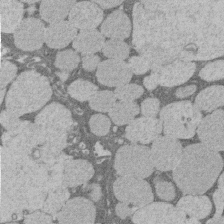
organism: Rat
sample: Salivary granule